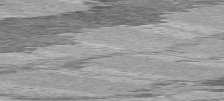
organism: C57BL Mouse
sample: Heart